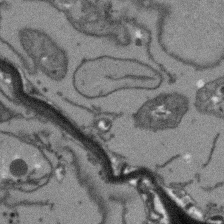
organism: Arabidopsis thaliana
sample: Root tip